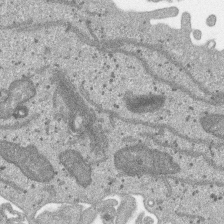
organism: Human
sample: Lung epithelial cells infected with SARS-CoV-2